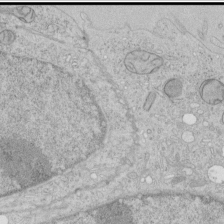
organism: Human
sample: Mitochondria in HCT116 cells